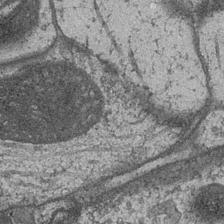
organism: Drosophila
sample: Optic medulla